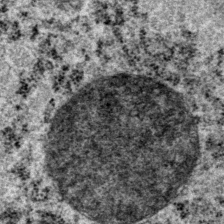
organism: P. pacificus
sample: Pharynx